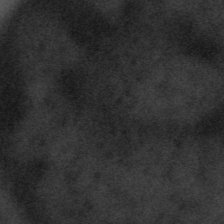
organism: Tuwongella immobilis